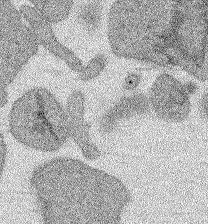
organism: Human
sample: HeLa cells